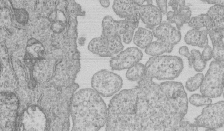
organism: Human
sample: MDA-MB-231 cells